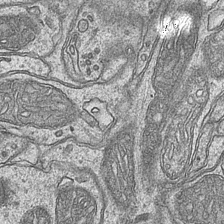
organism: Mouse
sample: CA1 Hippocampus